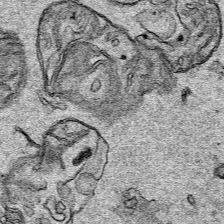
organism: Human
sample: Mitochondria in HCT116 cells